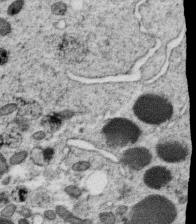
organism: C. elegans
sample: C. elegans oocyte; sperm cells